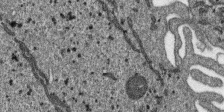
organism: Human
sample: Lung epithelial cells infected with SARS-CoV-2